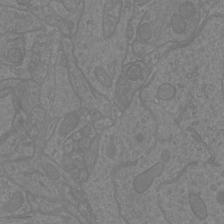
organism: Mouse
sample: Cortical neurons